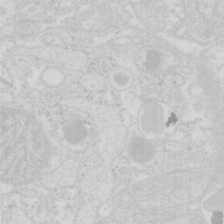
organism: Mouse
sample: Pancreas